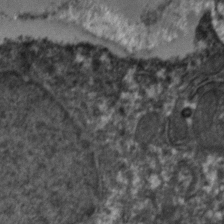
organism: Zebrafish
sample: Zebrafish embryo